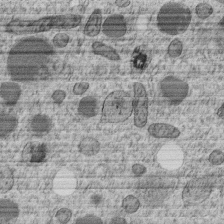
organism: C. elegans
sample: C. elegans embryo early stage